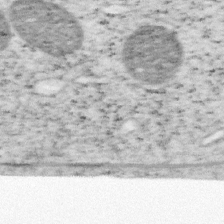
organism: Mouse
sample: OT-I killer T cells with ID8 ovarian cancer cells